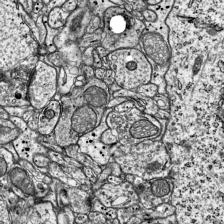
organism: Mouse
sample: Visual Cortex